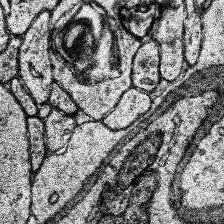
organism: Human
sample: Temporal Lobe